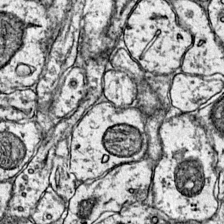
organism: Mouse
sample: Primary visual cortex